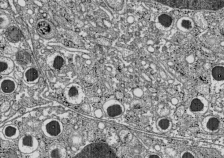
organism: C57BL Mouse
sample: Pancreatic islet